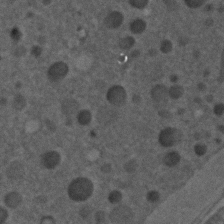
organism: C. elegans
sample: C. elegans embryo